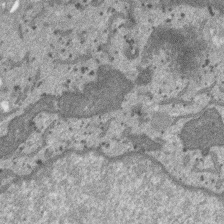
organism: Human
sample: Lung epithelial cells infected with SARS-CoV-2